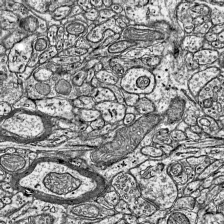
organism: Mouse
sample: Visual Cortex